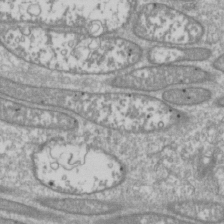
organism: Drosophila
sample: Cell division; meiosis; drosophila spermatocytes